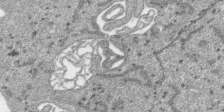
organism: Human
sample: Lung epithelial cells infected with SARS-CoV-2